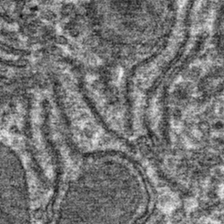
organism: Mouse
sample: Mouse hepatocytes